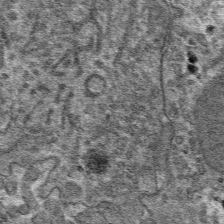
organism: Mouse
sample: Mouse hepatocytes